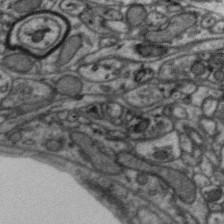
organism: Zebra finch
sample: Brain